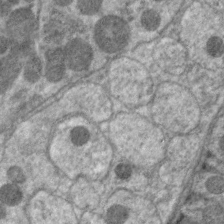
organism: C. elegans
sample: Pharynx